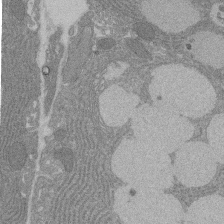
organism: Rat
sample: Salivary granule